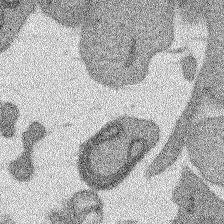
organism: Human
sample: HeLa cells